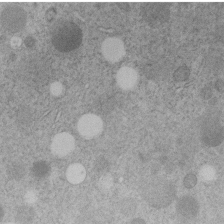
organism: C. elegans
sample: C. elegans embryo early stage